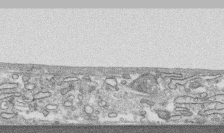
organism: Human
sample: CRL-1474